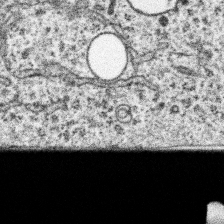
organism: Human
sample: HeLa cells